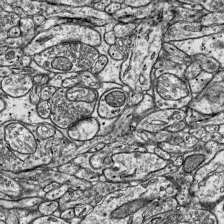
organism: Mouse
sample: Visual Cortex